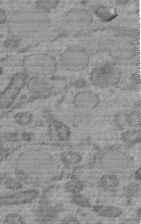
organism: C. elegans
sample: C. elegans embryo early stage